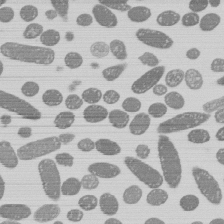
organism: E. coli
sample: Bacterial nucleoid